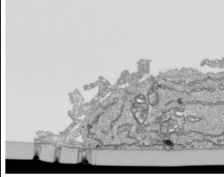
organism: Human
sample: Mitochondria in HCT116 cells